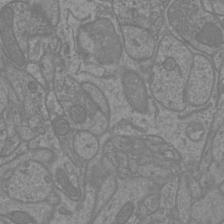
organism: Mouse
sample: Cortical neurons